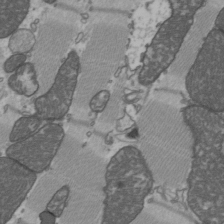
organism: C57BL Mouse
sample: Heart